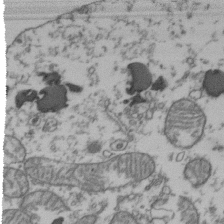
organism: Human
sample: Activated Jurkat CD4+ T cells